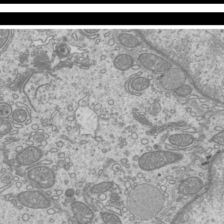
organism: Mouse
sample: Cilia; mouse epididymis